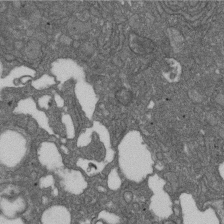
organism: Drosophila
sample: Nephrocyte